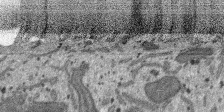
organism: Human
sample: Lung epithelial cells infected with SARS-CoV-2